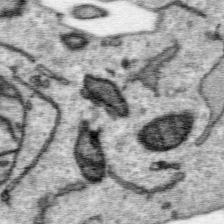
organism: Human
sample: HeLa cells